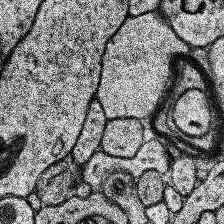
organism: Human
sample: Temporal Lobe